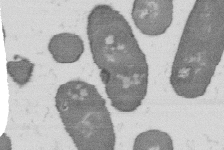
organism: B. subtilis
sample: Bacterial spore